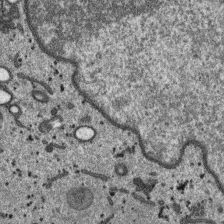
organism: Human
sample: Lung epithelial cells infected with SARS-CoV-2